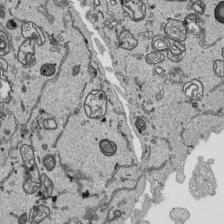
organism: Human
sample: Mitochondria in HCT116 cells